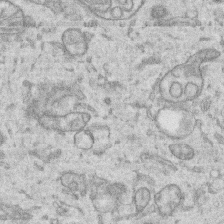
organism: Human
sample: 1205lu cells